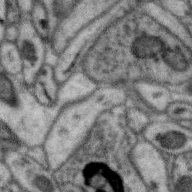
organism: Zebra finch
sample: Brain